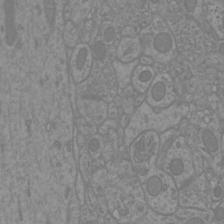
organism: Mouse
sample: Cortical neurons